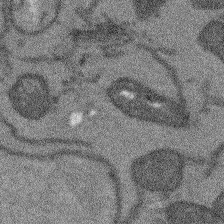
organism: Arabidopsis thaliana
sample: Root tip